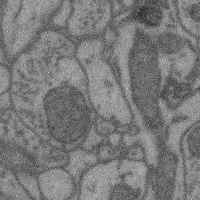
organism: Mouse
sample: Cerebral cortex